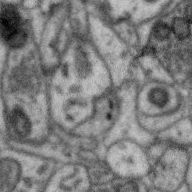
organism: Zebra finch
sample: Brain